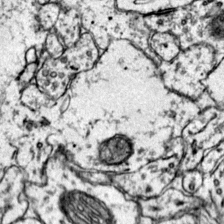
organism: Mouse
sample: Primary visual cortex